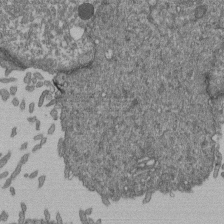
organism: Human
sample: Retinal organoid Rod and Cone cells